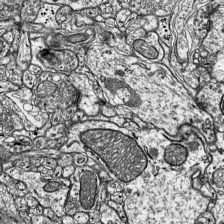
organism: Mouse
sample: Visual Cortex